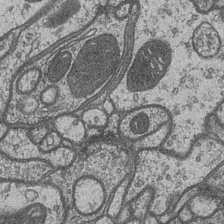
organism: Drosophila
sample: Optic medulla